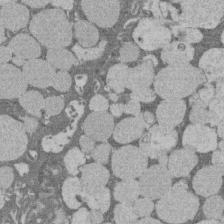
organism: Rat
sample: Salivary granule